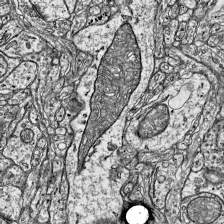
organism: Mouse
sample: Visual Cortex